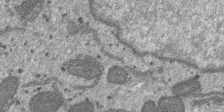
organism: Human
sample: Lung epithelial cells infected with SARS-CoV-2